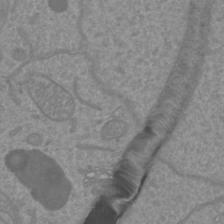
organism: Mouse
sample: Cortical neurons